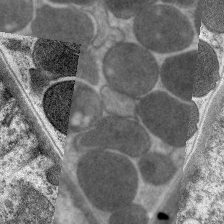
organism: C. elegans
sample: Pharynx